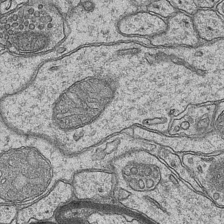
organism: Mouse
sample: CA1 Hippocampus